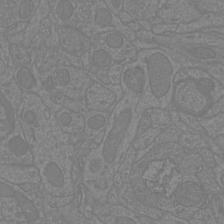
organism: Mouse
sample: Cortical neurons